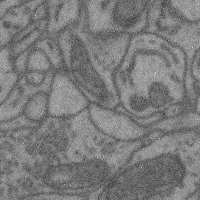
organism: Mouse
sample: Cerebral cortex